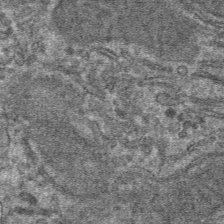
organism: Mouse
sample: Mouse hepatocytes